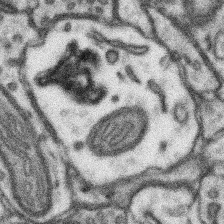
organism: Mouse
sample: Somatosensory cortex neuropil